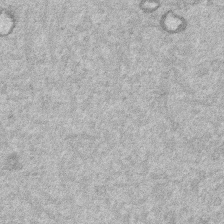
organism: Mouse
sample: Dividing mouse embryo 1 cell stage